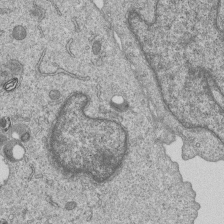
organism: Human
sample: MDA-MB-231 cells